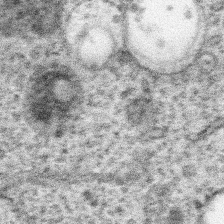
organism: Human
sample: HeLa cells